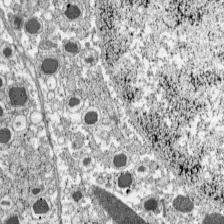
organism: C57BL Mouse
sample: Pancreatic islet